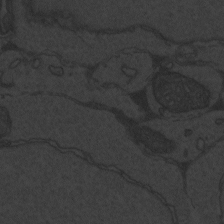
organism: Zebrafish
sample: Macrophage infected with Toxoplasma gondii